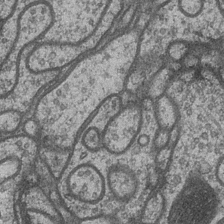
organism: Drosophila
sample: Optic medulla